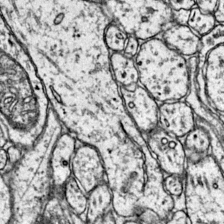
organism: Mouse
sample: Primary visual cortex